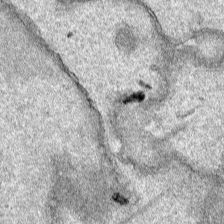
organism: Human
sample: Mitochondria in HCT116 cells